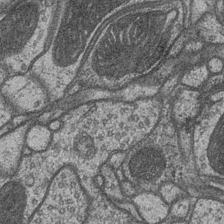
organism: Drosophila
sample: Optic medulla